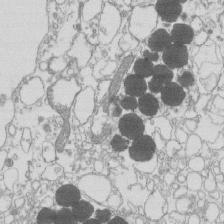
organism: Mouse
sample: Macrophages